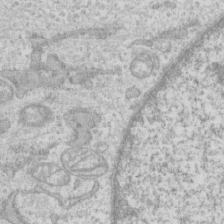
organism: Human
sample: CRL-1474